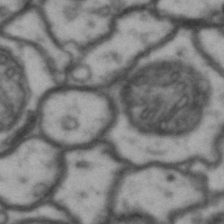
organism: Drosophila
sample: Brain